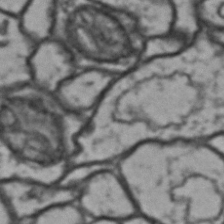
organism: Drosophila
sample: Brain